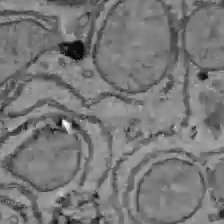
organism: C57BL Mouse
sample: Liver